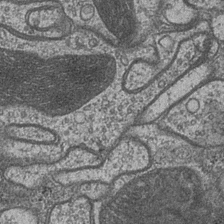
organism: Drosophila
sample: Optic medulla